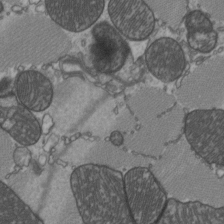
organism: C57BL Mouse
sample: Heart